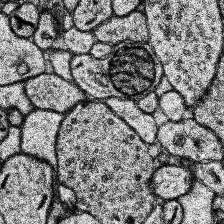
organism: Human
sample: Temporal Lobe